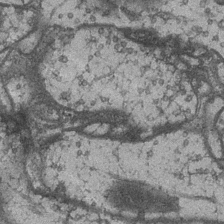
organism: Drosophila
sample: Optic medulla